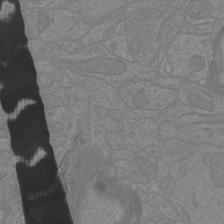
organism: Mouse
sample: Cortical neurons